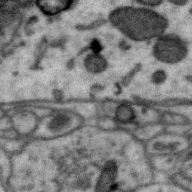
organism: Zebra finch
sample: Brain